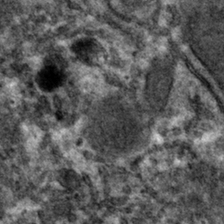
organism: Mouse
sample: Mouse hepatocytes